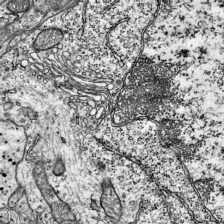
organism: Mouse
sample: Visual Cortex